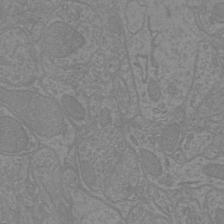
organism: Mouse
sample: Cortical neurons